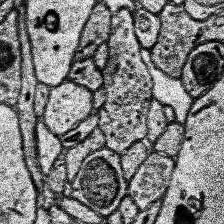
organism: Human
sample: Temporal Lobe